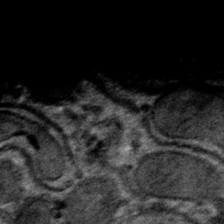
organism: Mouse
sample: Mouse hepatocytes